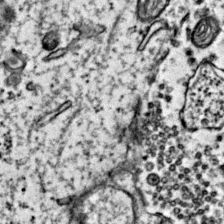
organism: Mouse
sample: Primary visual cortex